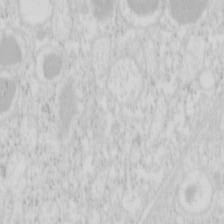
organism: Mouse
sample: Pancreas